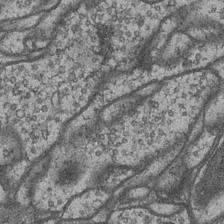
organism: Drosophila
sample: Optic medulla